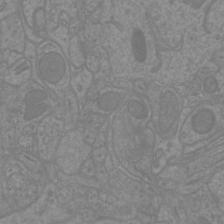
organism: Mouse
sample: Cortical neurons